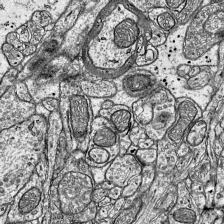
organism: Mouse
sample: Visual Cortex